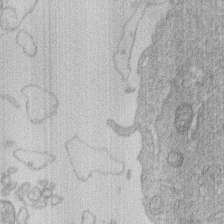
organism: Human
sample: Macrophage cells